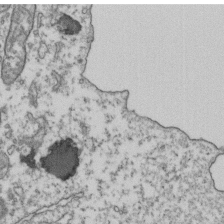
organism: Human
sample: Activated Jurkat CD4+ T cells